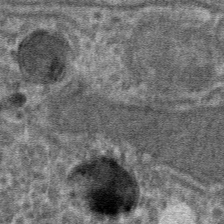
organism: Mouse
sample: Mouse hepatocytes